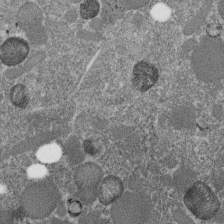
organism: C. elegans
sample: C. elegans embryo early stage